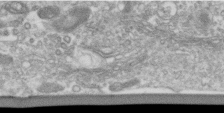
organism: Human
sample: Centriole in RPE cells